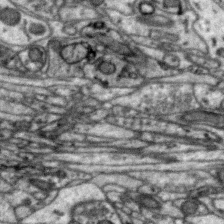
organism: Zebra finch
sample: Brain